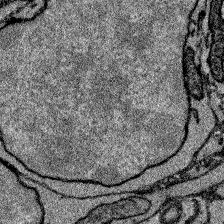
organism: Zebrafish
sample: Larval olfactory bulb